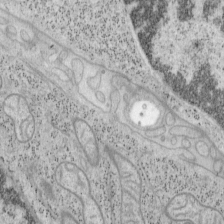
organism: Mouse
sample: OT-I killer T cells with ID8 ovarian cancer cells